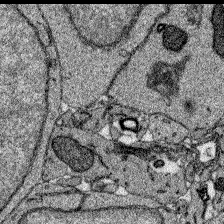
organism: Zebrafish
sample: Larval olfactory bulb